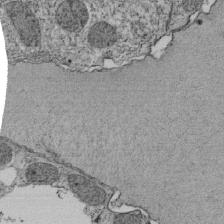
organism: Tetrahymena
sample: Cilia in tetrahymena